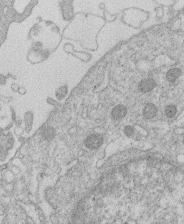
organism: Human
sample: Macrophage cells